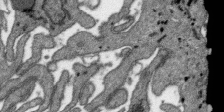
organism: Human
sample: Lung epithelial cells, uninfected (mock) control